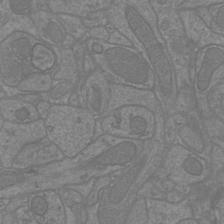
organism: Mouse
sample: Cortical neurons